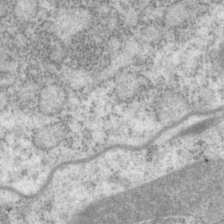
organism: P. pacificus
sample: Pharynx